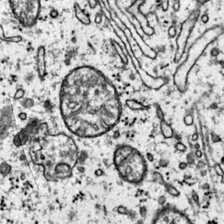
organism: Mouse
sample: Primary visual cortex